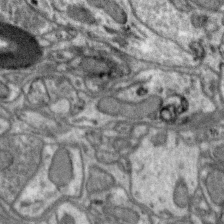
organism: Zebra finch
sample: Brain